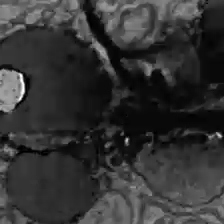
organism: C57BL Mouse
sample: Liver